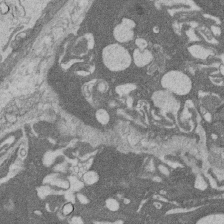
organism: Rat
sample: Salivary granule